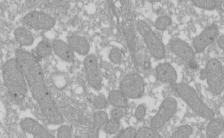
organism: Xenopus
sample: Cilia; centrioles in frog embryo cells